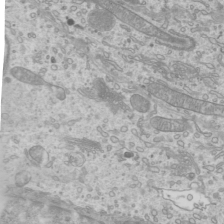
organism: Mouse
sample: Cilia; mouse epididymis